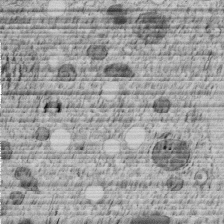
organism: C. elegans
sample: C. elegans embryo early stage